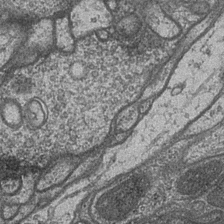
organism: Drosophila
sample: Optic medulla